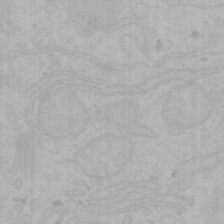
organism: Mouse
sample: Choroid plexus